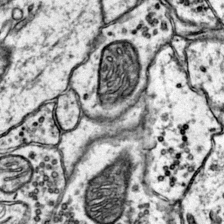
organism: Mouse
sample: Primary visual cortex